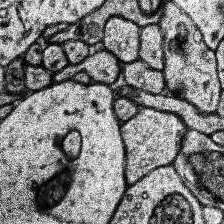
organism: Human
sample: Temporal Lobe